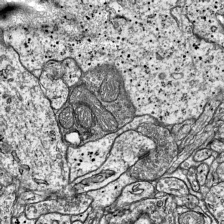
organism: Mouse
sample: Visual Cortex